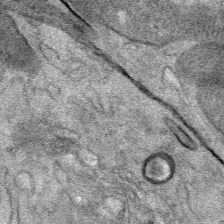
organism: Mouse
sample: Mouse Salivary gland